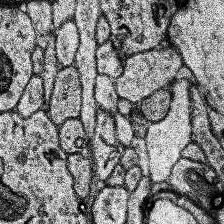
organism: Human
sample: Temporal Lobe